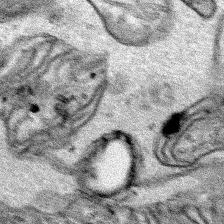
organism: Human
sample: Mitochondria in HCT116 cells